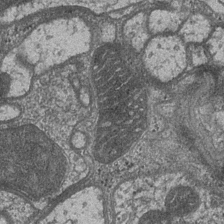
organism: Drosophila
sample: Optic medulla